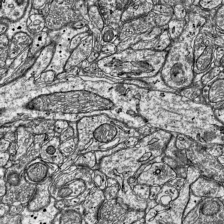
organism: Mouse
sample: Visual Cortex